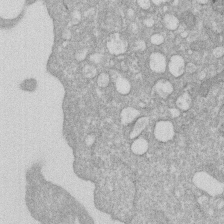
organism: Human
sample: HIV infected U937 cells